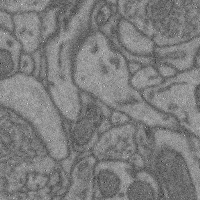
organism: Mouse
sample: Cerebral cortex